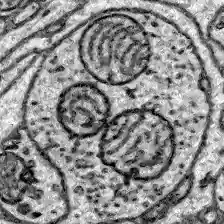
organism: Zebrafish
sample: Brain